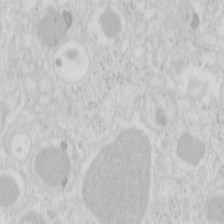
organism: Mouse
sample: Pancreas